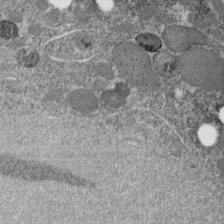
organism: C. elegans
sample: C. elegans embryo early stage